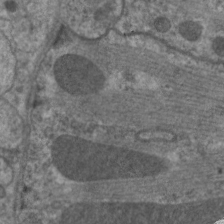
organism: C. elegans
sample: Pharynx